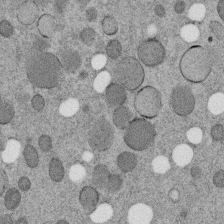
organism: C. elegans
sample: C. elegans embryo early stage